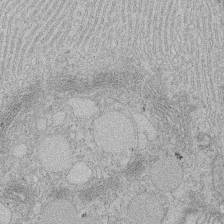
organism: Rat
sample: Salivary granule